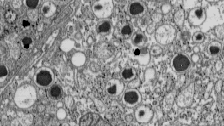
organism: C57BL Mouse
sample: Pancreatic islet